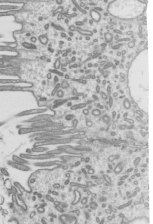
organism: Mouse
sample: Mouse epididymis efferent ductule cilia